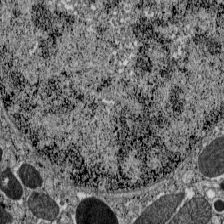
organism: C57BL Mouse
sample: Pancreatic islet